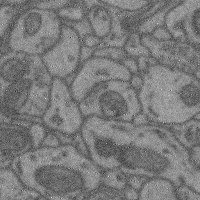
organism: Mouse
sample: Cerebral cortex